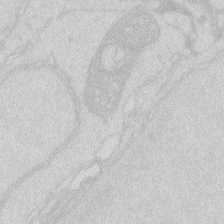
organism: Zebrafish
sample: Macrophage